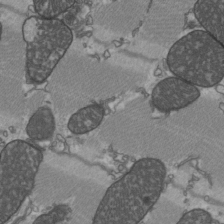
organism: C57BL Mouse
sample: Heart